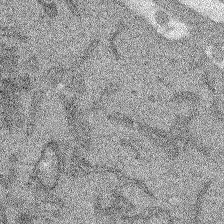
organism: Human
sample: HeLa cells